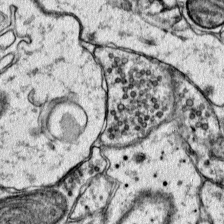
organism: Mouse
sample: Primary visual cortex